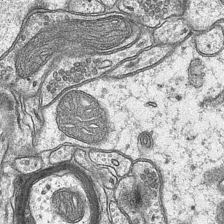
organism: Mouse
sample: CA1 Hippocampus